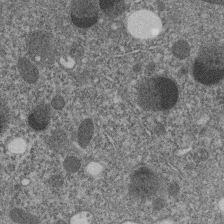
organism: C. elegans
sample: C. elegans embryo early stage